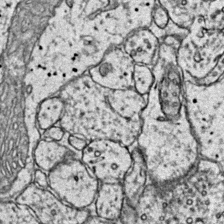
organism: Mouse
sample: Primary visual cortex